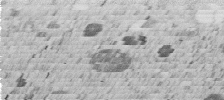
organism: C. elegans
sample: C. elegans embryo early stage